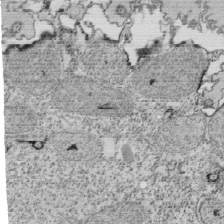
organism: Tetrahymena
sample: Cilia in tetrahymena